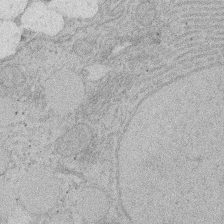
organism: Rat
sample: Salivary granule